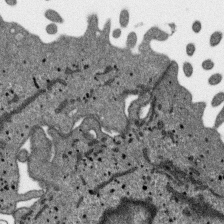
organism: Human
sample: Lung epithelial cells, uninfected (mock) control